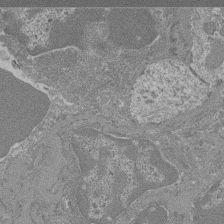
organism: Mouse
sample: Glomerulus